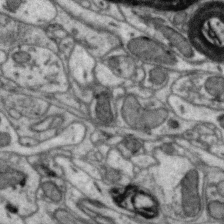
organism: Zebra finch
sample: Brain